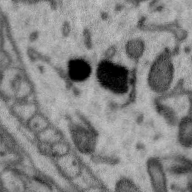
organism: Zebra finch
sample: Brain